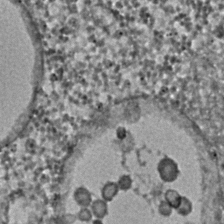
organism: C. elegans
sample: C. elegans embryo